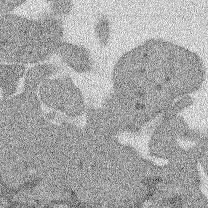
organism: Human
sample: HeLa cells